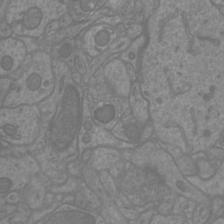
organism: Mouse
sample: Cortical neurons